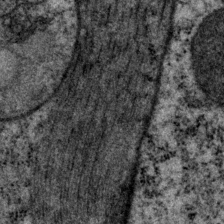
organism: P. pacificus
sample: Pharynx